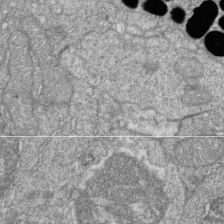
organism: Zebrafish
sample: Cilia; retinal pigment epithelium